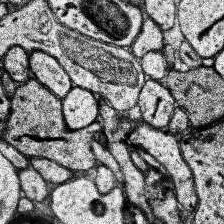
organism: Human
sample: Temporal Lobe